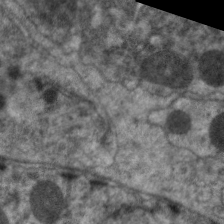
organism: C. elegans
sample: Pharynx